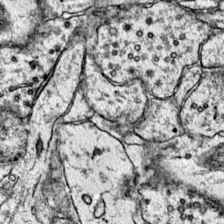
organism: Mouse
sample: Primary visual cortex